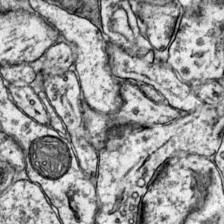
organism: Mouse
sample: Primary visual cortex